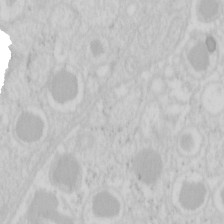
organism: Mouse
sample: Pancreas